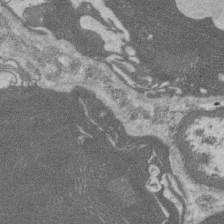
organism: Rat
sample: Salivary granule